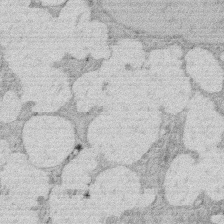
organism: Rat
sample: Salivary granule